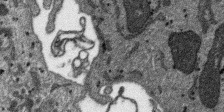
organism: Human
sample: Lung epithelial cells infected with SARS-CoV-2